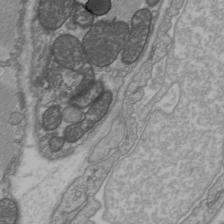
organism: C57BL Mouse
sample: Heart